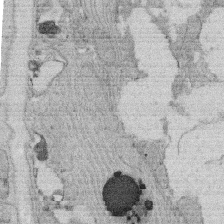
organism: Rat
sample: Salivary granule